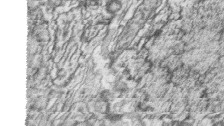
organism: Zebrafish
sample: synaptic ribbons in rod cells and cone cells